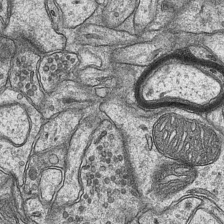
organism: Mouse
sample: CA1 Hippocampus